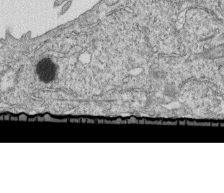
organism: Human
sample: HeLa cell HIV synapse